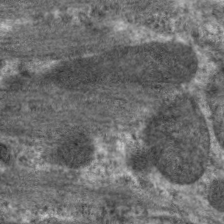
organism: C. elegans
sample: Pharynx